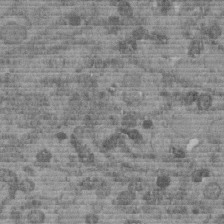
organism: C. elegans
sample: C. elegans embryo early stage